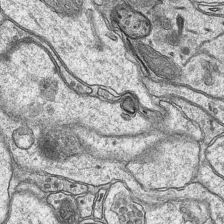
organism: Mouse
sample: CA1 Hippocampus